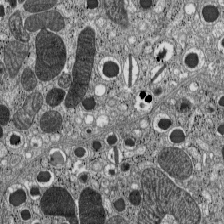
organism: C57BL Mouse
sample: Pancreatic islet